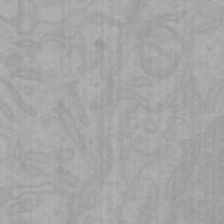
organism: Mouse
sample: Choroid plexus